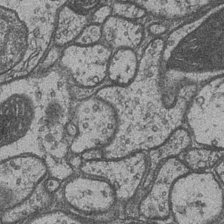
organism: Drosophila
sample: Optic medulla